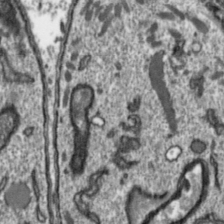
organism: Toxoplasma gondii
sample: Parasites in a vacuole inside a host cell